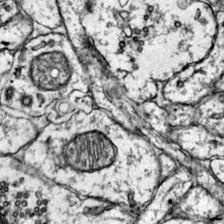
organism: Mouse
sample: Primary visual cortex